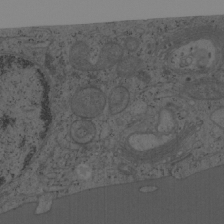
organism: Human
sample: HeLa cells